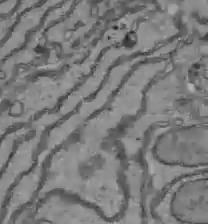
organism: C57BL Mouse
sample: Liver